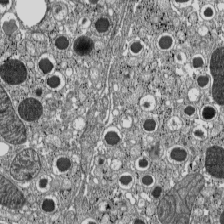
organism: C57BL Mouse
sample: Pancreatic islet